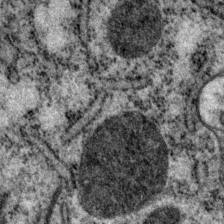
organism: P. pacificus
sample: Pharynx